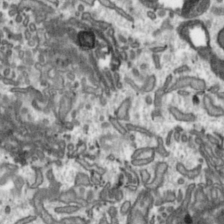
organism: Toxoplasma gondii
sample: Parasites in a vacuole inside a host cell